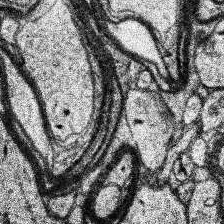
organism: Human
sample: Temporal Lobe